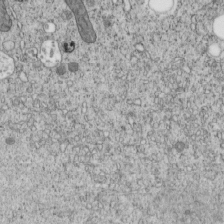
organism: C. elegans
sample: C. elegans embryo early stage